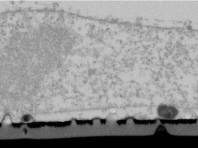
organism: Human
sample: U2-OS cells